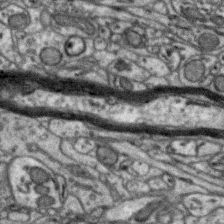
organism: Zebra finch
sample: Brain